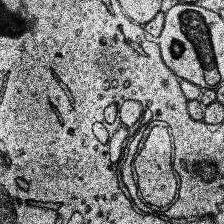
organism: Human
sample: Temporal Lobe